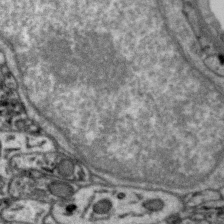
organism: Zebra finch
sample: Brain